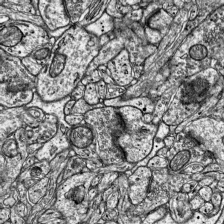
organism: Mouse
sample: Visual Cortex